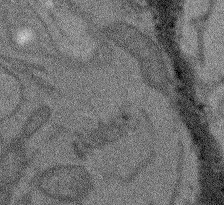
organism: Arabidopsis thaliana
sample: Root tip